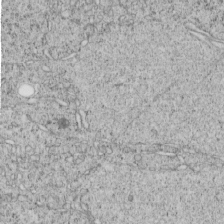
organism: C. elegans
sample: C. elegans embryo early stage